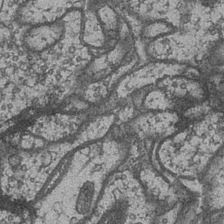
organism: Drosophila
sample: Optic medulla